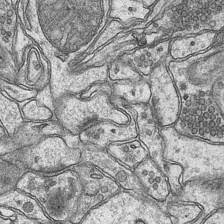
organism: Mouse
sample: CA1 Hippocampus